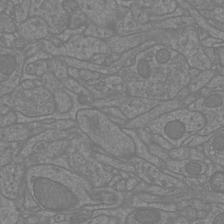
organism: Mouse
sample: Cortical neurons